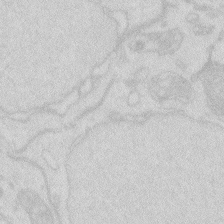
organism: Zebrafish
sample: Macrophage